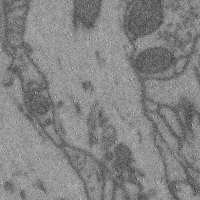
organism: Mouse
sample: Cerebral cortex